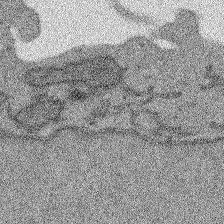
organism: Human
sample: HeLa cells